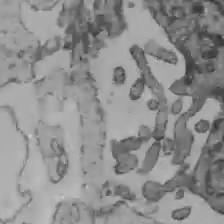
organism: C57BL Mouse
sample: Liver